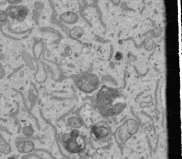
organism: Human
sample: Mitochondria in U2OS cells